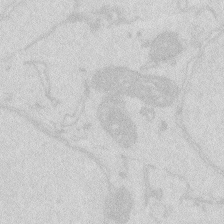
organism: Zebrafish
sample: Macrophage